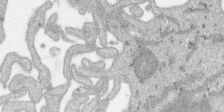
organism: Human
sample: Lung epithelial cells infected with SARS-CoV-2